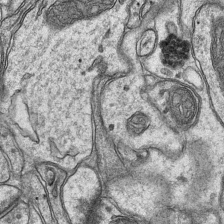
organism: Mouse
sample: CA1 Hippocampus